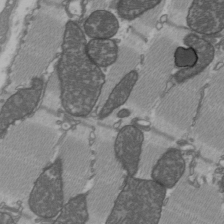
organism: C57BL Mouse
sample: Heart